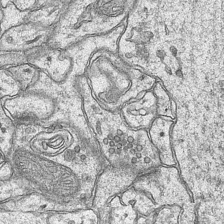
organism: Mouse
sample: CA1 Hippocampus